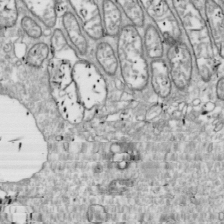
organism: Drosophila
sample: Cell division; meiosis; drosophila spermatocytes